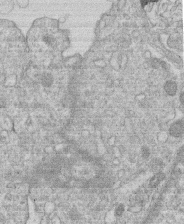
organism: Human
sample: Macrophage cells